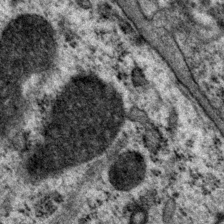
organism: P. pacificus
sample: Pharynx